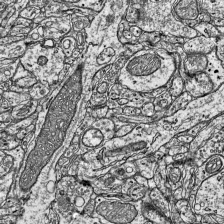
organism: Mouse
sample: Visual Cortex